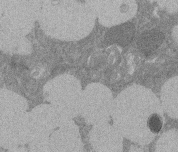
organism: Rat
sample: Salivary granule